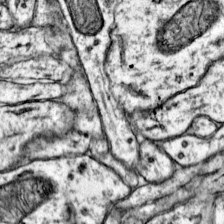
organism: Mouse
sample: Primary visual cortex